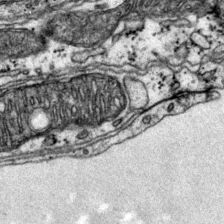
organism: Mouse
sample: Primary visual cortex